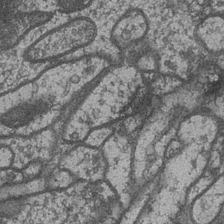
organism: Drosophila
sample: Optic medulla